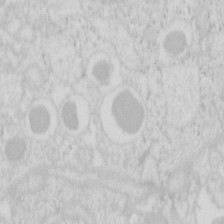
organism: Mouse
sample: Pancreas